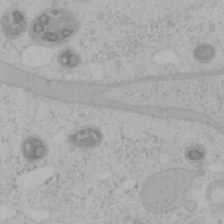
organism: Mouse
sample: OT-I killer T cells with ID8 ovarian cancer cells